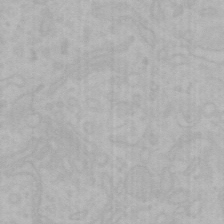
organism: Mouse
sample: Choroid plexus